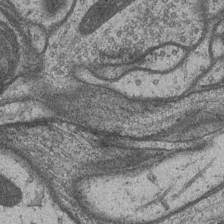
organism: Drosophila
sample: Optic medulla